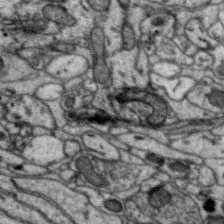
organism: Zebra finch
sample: Brain